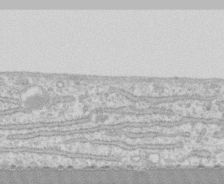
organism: Human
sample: CRL-1474